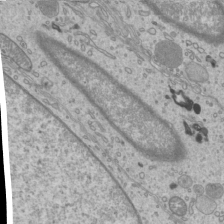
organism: Mouse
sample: Cilia; mouse epididymis